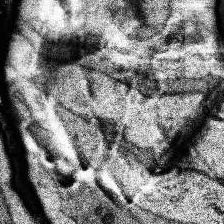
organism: Human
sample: Temporal Lobe